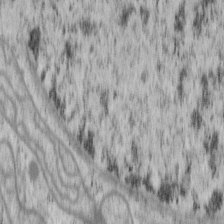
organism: Human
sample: HeLa cells